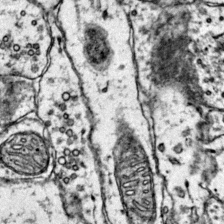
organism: Mouse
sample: Primary visual cortex